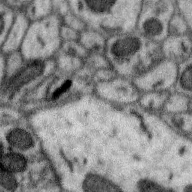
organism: Zebra finch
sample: Brain